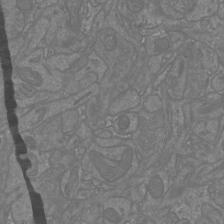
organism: Mouse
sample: Cortical neurons